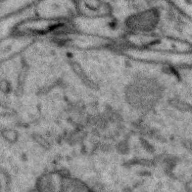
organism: Zebra finch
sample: Brain